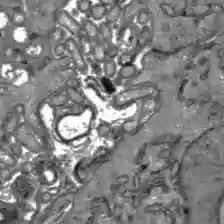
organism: C57BL Mouse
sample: Liver